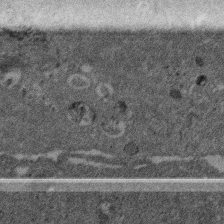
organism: Mouse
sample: Dividing mouse embryo 1 cell stage